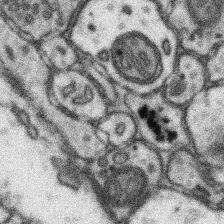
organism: Mouse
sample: Somatosensory cortex neuropil